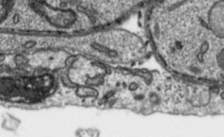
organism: Toxoplasma gondii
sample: Parasites in a vacuole inside a host cell